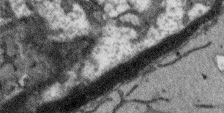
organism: Arabidopsis thaliana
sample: Root tip